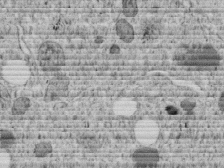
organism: C. elegans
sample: C. elegans embryo early stage